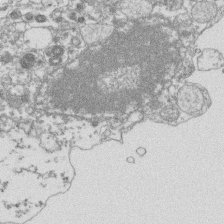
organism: Human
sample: HeLa cell HIV synapse